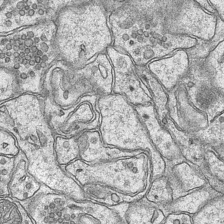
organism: Mouse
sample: CA1 Hippocampus